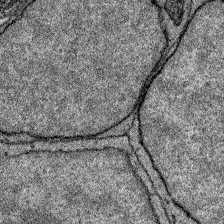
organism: Zebrafish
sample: Larval olfactory bulb